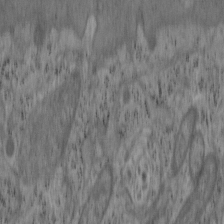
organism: Human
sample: HeLa cells